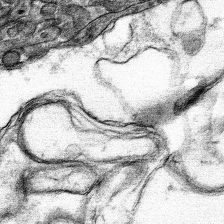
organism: Mouse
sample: Mouse hepatocytes